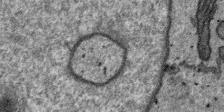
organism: Human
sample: Lung epithelial cells, uninfected (mock) control